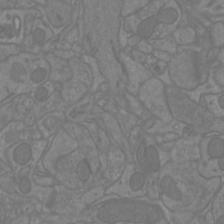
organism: Mouse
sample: Cortical neurons